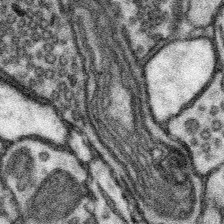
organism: Mouse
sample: Somatosensory cortex neuropil